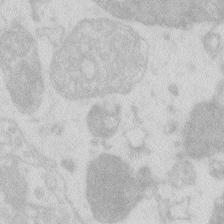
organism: Zebrafish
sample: Macrophage